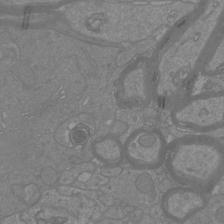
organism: Mouse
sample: Cortical neurons